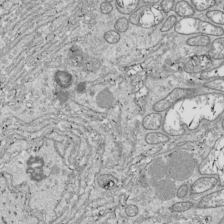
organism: Drosophila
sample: Cell division; meiosis; drosophila spermatocytes